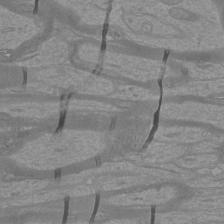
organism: Mouse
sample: Cortical neurons